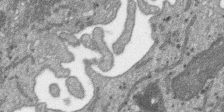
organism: Human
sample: Lung epithelial cells infected with SARS-CoV-2